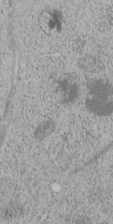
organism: C. elegans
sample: C. elegans embryo early stage